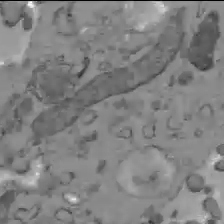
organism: C57BL Mouse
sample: Liver